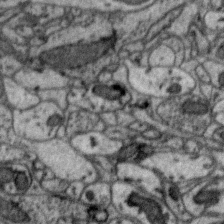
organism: Zebra finch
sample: Brain